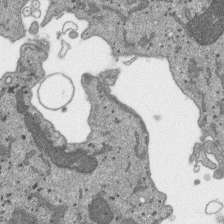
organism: Human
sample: Lung epithelial cells infected with SARS-CoV-2